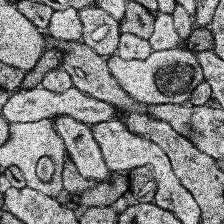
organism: Human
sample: Temporal Lobe